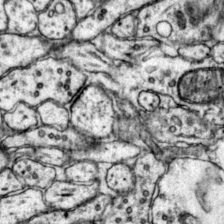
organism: Mouse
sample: Primary visual cortex